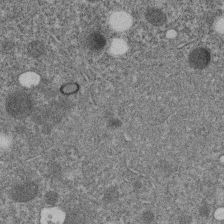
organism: C. elegans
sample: C. elegans embryo early stage